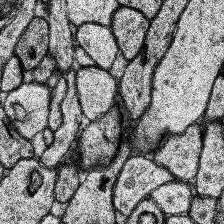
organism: Human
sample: Temporal Lobe